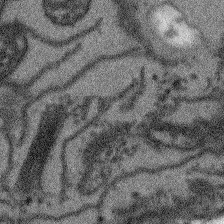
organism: Arabidopsis thaliana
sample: Root tip